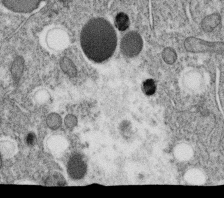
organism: C. elegans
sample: C. elegans oocyte; sperm cells